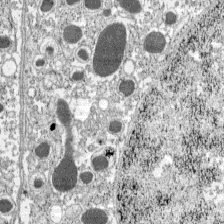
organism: C57BL Mouse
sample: Pancreatic islet